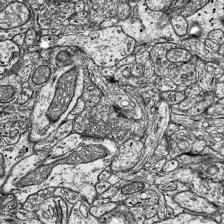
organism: Mouse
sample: Visual Cortex